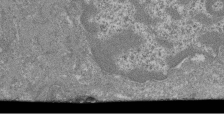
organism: Mouse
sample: Glomerulus